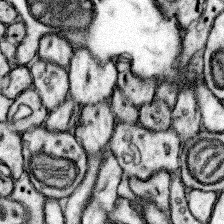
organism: Mouse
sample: Somatosensory cortex neuropil